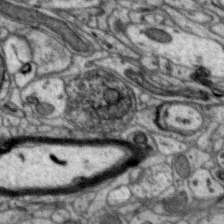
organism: Zebra finch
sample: Brain